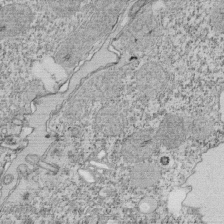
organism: Tetrahymena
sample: Cilia in tetrahymena